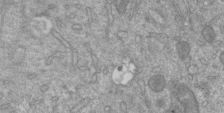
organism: Mouse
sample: ED-1 cell nuclei; centrioles